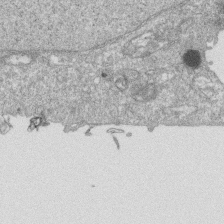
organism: Human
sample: HeLa cell HIV synapse